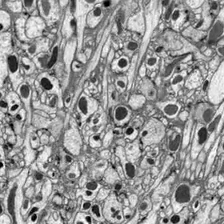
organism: Drosophila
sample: Optic lobe